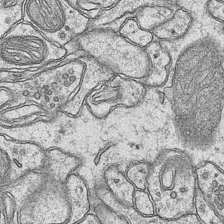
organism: Mouse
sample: CA1 Hippocampus